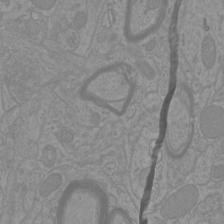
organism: Mouse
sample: Cortical neurons